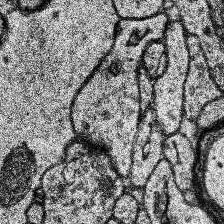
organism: Human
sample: Temporal Lobe